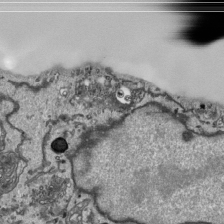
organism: Human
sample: Mitochondria in HCT116 cells